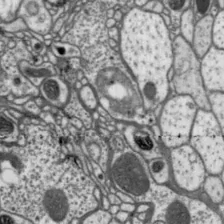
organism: Drosophila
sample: Protocerebral bridge